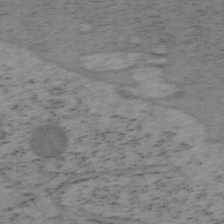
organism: Mouse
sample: OT-I killer T cells with ID8 ovarian cancer cells